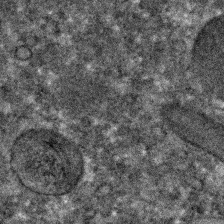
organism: C. elegans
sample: C. elegans embryo